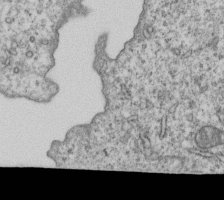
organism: Human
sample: MDA-MB-231 cells